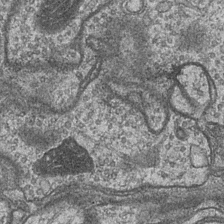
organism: Drosophila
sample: Optic medulla